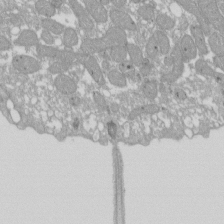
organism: Xenopus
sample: Cilia; centrioles in frog embryo cells